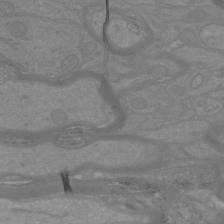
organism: Mouse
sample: Cortical neurons